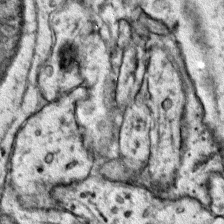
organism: Mouse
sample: Primary visual cortex